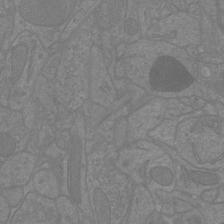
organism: Mouse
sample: Cortical neurons